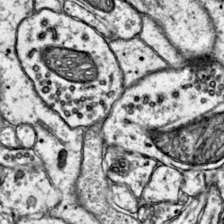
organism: Mouse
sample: Primary visual cortex